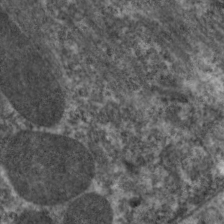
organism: C. elegans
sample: Pharynx